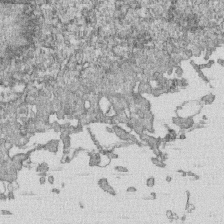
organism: Human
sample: HeLa cell HIV synapse